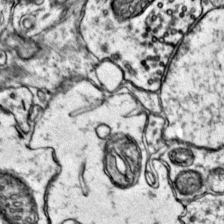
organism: Mouse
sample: Primary visual cortex